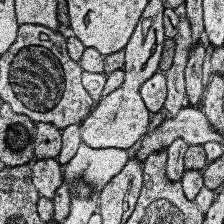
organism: Human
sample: Temporal Lobe